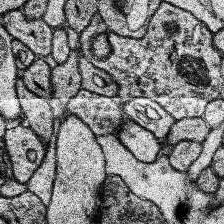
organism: Human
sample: Temporal Lobe